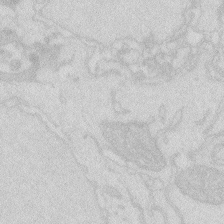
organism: Zebrafish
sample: Macrophage